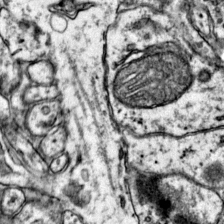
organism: Mouse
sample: Primary visual cortex